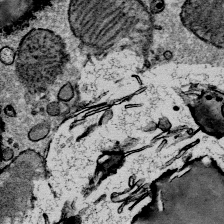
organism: Mouse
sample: Mouse Salivary gland